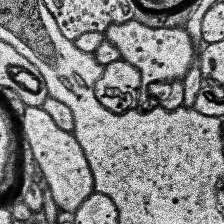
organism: Human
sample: Temporal Lobe